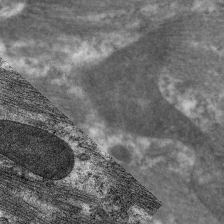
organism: C. elegans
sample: Pharynx